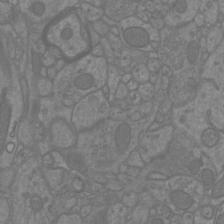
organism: Mouse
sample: Cortical neurons